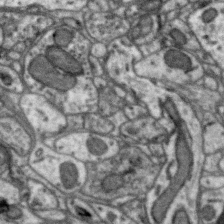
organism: Zebra finch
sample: Brain